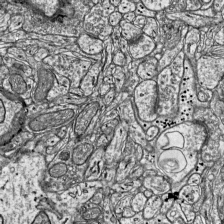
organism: Mouse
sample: Visual Cortex